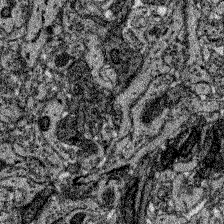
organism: Zebrafish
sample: Larval olfactory bulb